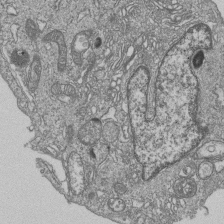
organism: Human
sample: MDA-MB-231 cells